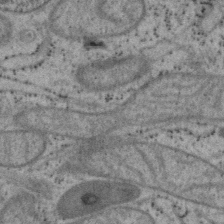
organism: Human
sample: HeLa cells